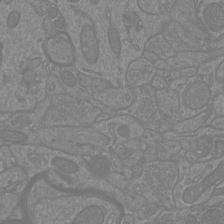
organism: Mouse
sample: Cortical neurons